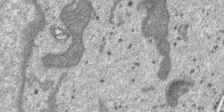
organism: Human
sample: Lung epithelial cells infected with SARS-CoV-2